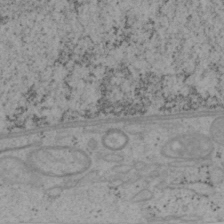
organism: Human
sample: HeLa cells